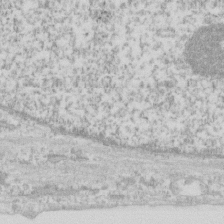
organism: Human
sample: Fibroblast cells